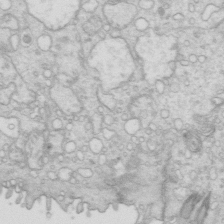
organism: Mouse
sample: Multiciliated cells